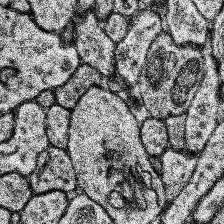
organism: Human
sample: Temporal Lobe